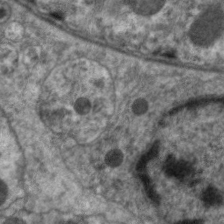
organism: C. elegans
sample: Pharynx